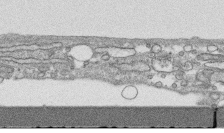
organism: Human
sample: CRL-1474